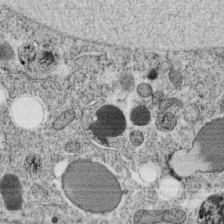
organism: C. elegans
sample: C. elegans oocyte; sperm cells